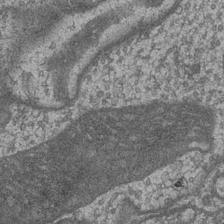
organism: Drosophila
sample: Optic medulla